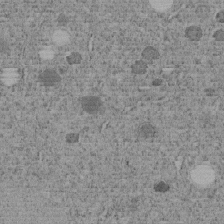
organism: C. elegans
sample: C. elegans embryo early stage